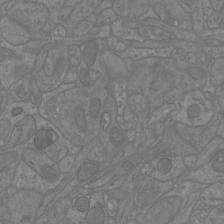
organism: Mouse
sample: Cortical neurons